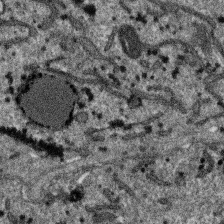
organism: Human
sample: Lung epithelial cells infected with SARS-CoV-2